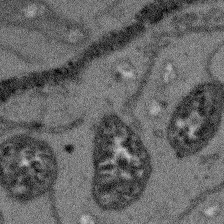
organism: Arabidopsis thaliana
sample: Root tip